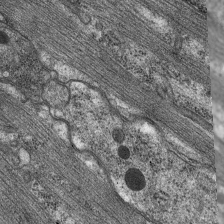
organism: C. elegans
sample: Pharynx